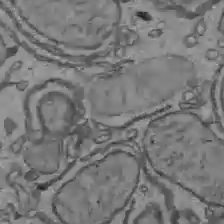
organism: C57BL Mouse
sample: Liver